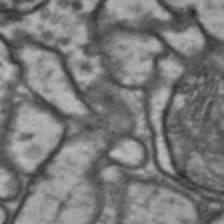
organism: Drosophila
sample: Brain